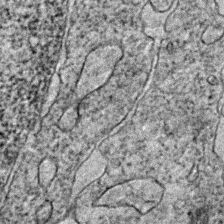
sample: Trachea